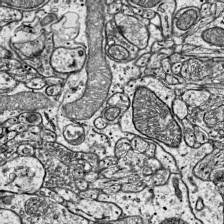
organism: Mouse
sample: Visual Cortex